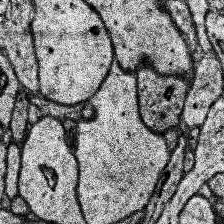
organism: Human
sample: Temporal Lobe